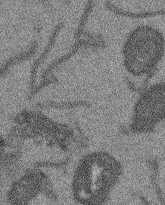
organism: Arabidopsis thaliana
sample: Root tip